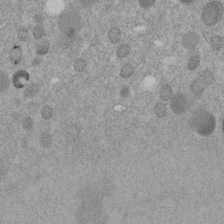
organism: C. elegans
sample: C. elegans embryo early stage